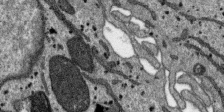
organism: Human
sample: Lung epithelial cells, uninfected (mock) control